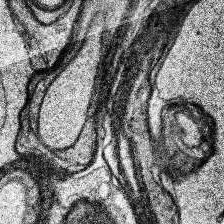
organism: Human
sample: Temporal Lobe